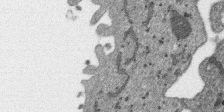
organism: Human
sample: Lung epithelial cells infected with SARS-CoV-2